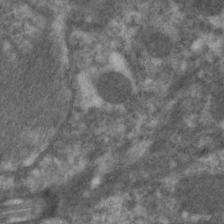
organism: C. elegans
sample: Pharynx